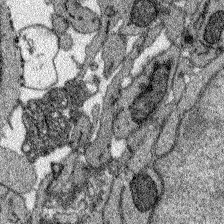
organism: Zebrafish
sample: Larval olfactory bulb